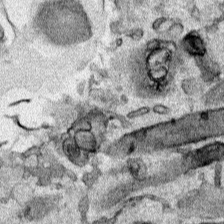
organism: Human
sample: Mitochondria in HCT116 cells